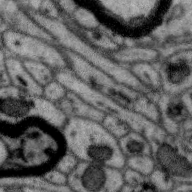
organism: Zebra finch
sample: Brain